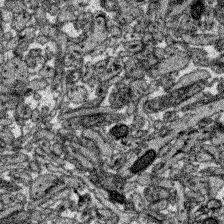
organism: Zebrafish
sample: Larval olfactory bulb